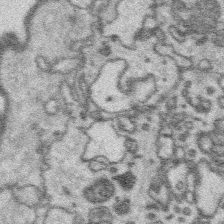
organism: Platynereis dumerilii